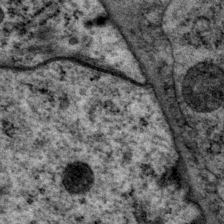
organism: P. pacificus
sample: Pharynx